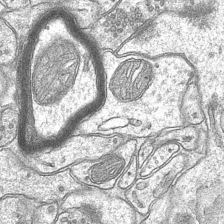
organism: Mouse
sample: CA1 Hippocampus